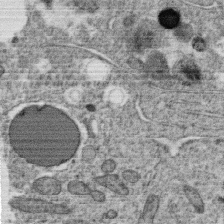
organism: C. elegans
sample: C. elegans oocyte; sperm cells